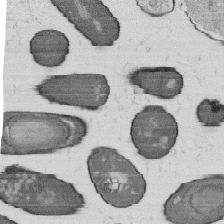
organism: B. subtilis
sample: Bacterial spore